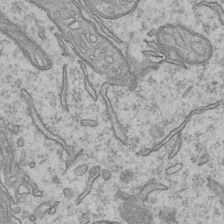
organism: Mouse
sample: CA1 Hippocampus